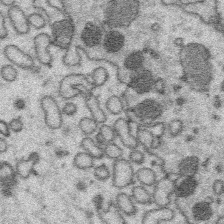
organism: Platynereis dumerilii